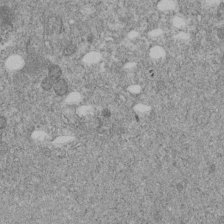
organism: C. elegans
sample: C. elegans embryo early stage